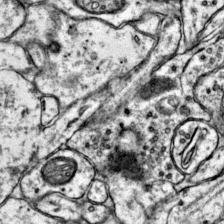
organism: Mouse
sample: Primary visual cortex